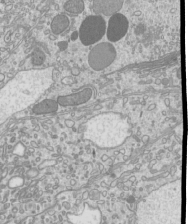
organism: Mouse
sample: Cilia; mouse epididymis